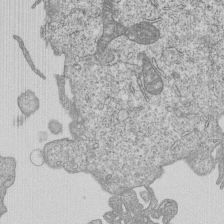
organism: Human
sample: MDA-MB-231 cells